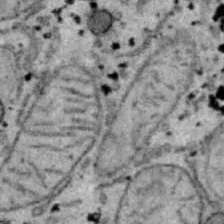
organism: Mouse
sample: Liver from an obese (ob/ob) mouse